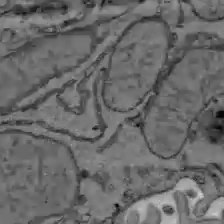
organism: C57BL Mouse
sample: Liver